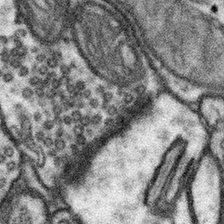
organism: Mouse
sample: Somatosensory cortex neuropil